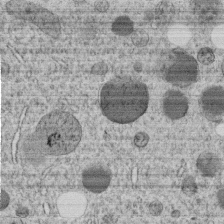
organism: C. elegans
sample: C. elegans embryo early stage